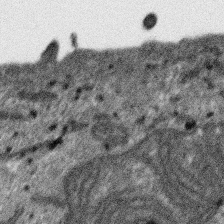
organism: Human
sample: Lung epithelial cells infected with SARS-CoV-2